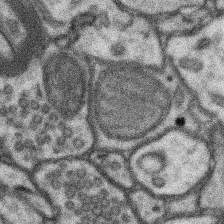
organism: Mouse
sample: Somatosensory cortex neuropil